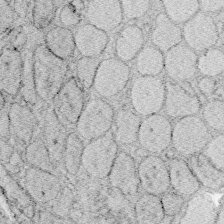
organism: Zebrafish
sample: Whole-Brain